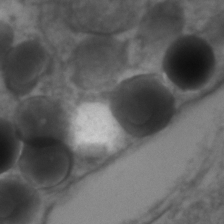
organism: Zebrafish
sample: Zebrafish embryo